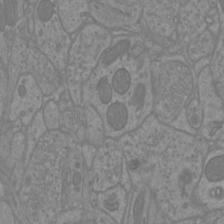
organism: Mouse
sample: Cortical neurons